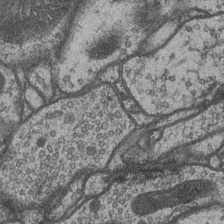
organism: Drosophila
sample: Optic medulla